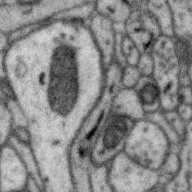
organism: Zebra finch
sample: Brain